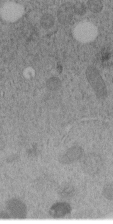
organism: C. elegans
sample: C. elegans embryo early stage